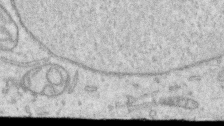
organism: Human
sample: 1205lu cells